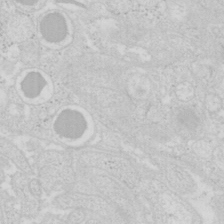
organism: Mouse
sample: Pancreas